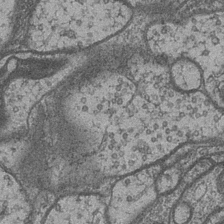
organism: Drosophila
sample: Optic medulla